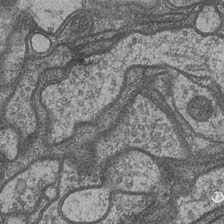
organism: Drosophila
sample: Optic medulla